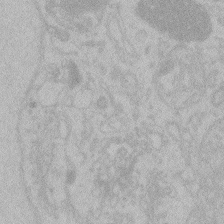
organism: Zebrafish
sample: Macrophage infected with Toxoplasma gondii